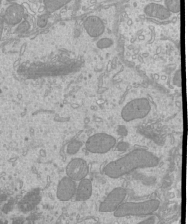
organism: Mouse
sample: Cilia; mouse epididymis